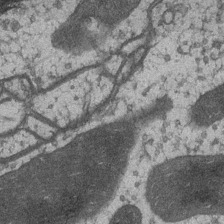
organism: Drosophila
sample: Optic medulla